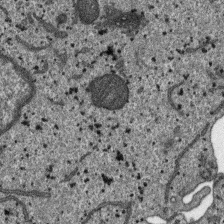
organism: Human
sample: Lung epithelial cells infected with SARS-CoV-2